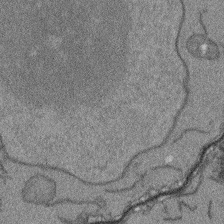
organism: Arabidopsis thaliana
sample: Root tip